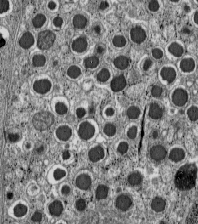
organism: C57BL Mouse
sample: Pancreatic islet